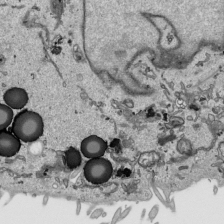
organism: Human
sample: Mitochondria in HCT116 cells